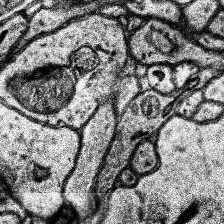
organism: Human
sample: Temporal Lobe